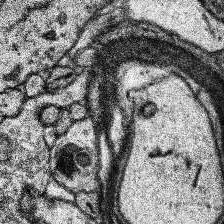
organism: Human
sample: Temporal Lobe